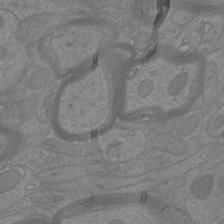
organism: Mouse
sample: Cortical neurons